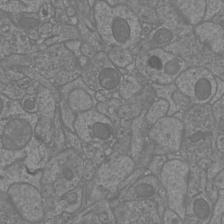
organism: Mouse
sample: Cortical neurons